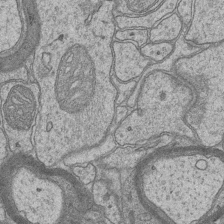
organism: Mouse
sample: CA1 Hippocampus